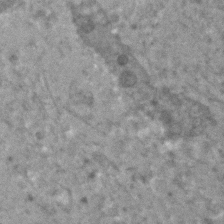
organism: Human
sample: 1205lu cells